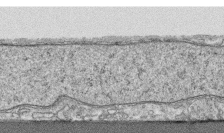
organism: Human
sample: CRL-1474